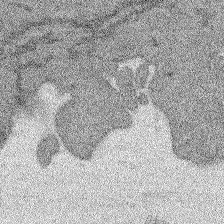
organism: Human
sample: HeLa cells